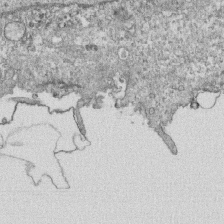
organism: Human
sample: HeLa cell HIV synapse